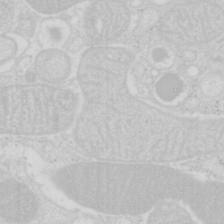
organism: Mouse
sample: Pancreas